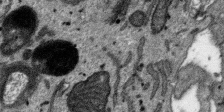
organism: Human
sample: Lung epithelial cells, uninfected (mock) control